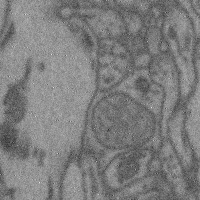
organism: Mouse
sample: Cerebral cortex